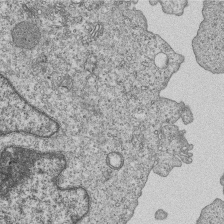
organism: Human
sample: MDA-MB-231 cells